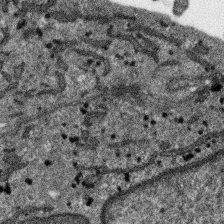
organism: Human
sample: Lung epithelial cells infected with SARS-CoV-2